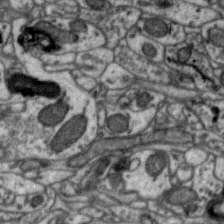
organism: Zebra finch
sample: Brain